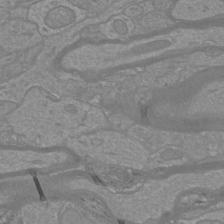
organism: Mouse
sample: Cortical neurons